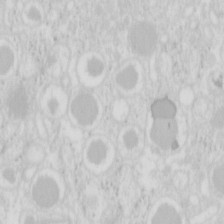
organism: Mouse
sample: Pancreas